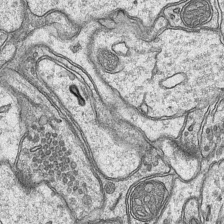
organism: Mouse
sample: CA1 Hippocampus